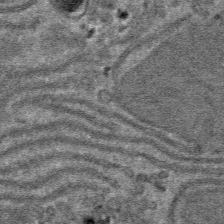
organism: Mouse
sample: Mouse hepatocytes